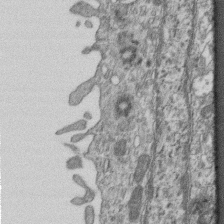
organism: Mouse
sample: Centriole in ependymal cells